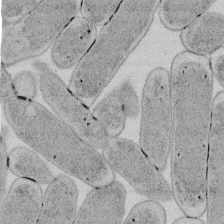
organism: E. coli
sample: Bacterial nucleoid